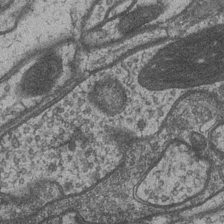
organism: Drosophila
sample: Optic medulla